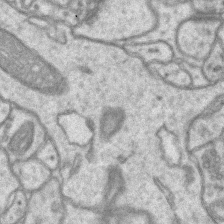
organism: Mouse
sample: CA1 Hippocampus